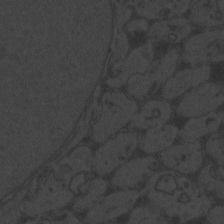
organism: Zebrafish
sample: Macrophage infected with Toxoplasma gondii